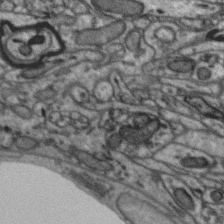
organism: Zebra finch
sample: Brain